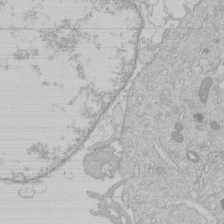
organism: Human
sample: Macrophage cells